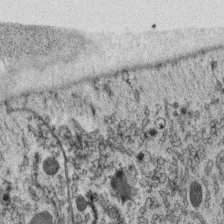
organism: C. elegans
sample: C. elegans oocyte; sperm cells